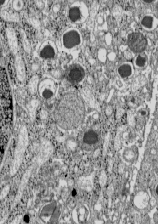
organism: C57BL Mouse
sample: Pancreatic islet